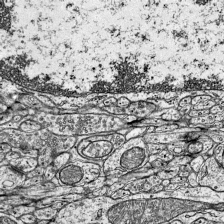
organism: Mouse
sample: Visual Cortex